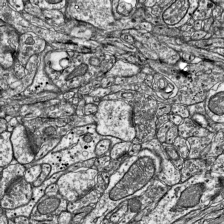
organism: Mouse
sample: Visual Cortex